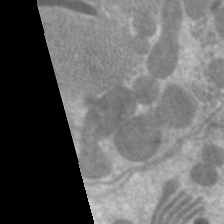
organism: C. elegans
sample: Pharynx